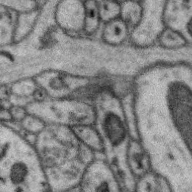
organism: Zebra finch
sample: Brain